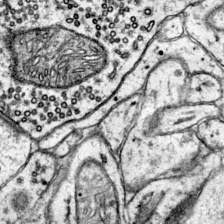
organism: Mouse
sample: Primary visual cortex